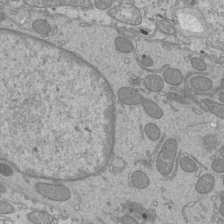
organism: Mouse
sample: Cilia; mouse epididymis